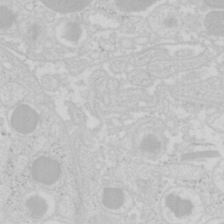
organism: Mouse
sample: Pancreas